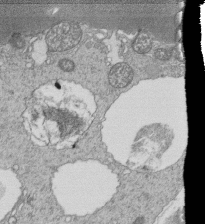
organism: Tetrahymena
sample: Cilia in tetrahymena